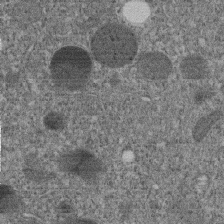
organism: C. elegans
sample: C. elegans embryo early stage